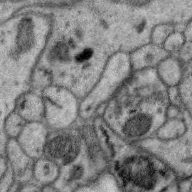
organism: Zebra finch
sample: Brain